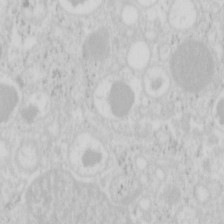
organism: Mouse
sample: Pancreas